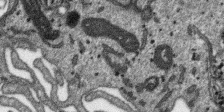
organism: Human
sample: Lung epithelial cells infected with SARS-CoV-2